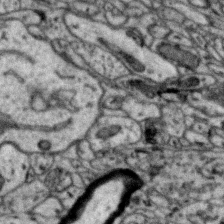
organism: Zebra finch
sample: Brain